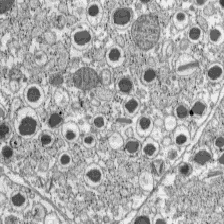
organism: C57BL Mouse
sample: Pancreatic islet